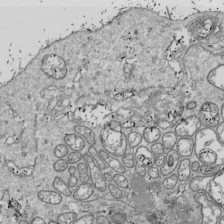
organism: Drosophila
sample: Cell division; meiosis; drosophila spermatocytes